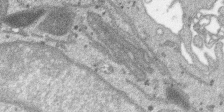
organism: Human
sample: Lung epithelial cells infected with SARS-CoV-2